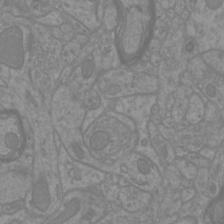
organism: Mouse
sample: Cortical neurons